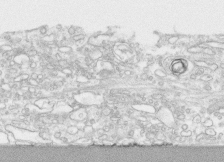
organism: Human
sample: CRL-1474